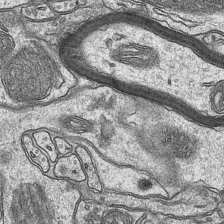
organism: Mouse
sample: CA1 Hippocampus